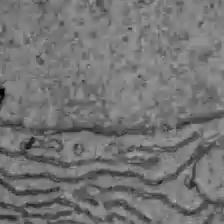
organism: C57BL Mouse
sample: Liver